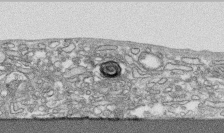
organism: Human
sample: CRL-1474